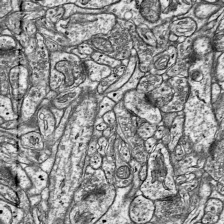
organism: Mouse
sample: Visual Cortex